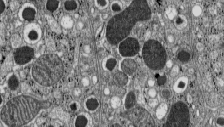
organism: C57BL Mouse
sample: Pancreatic islet